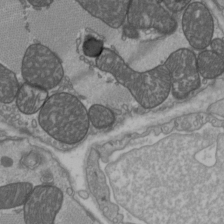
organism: C57BL Mouse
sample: Heart